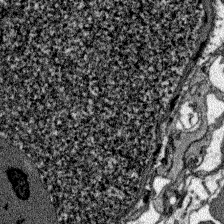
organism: Zebrafish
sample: Larval olfactory bulb